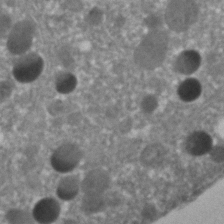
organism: C. elegans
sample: C. elegans embryo